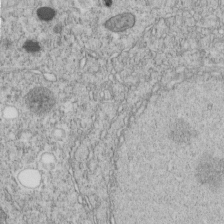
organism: C. elegans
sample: C. elegans embryo early stage